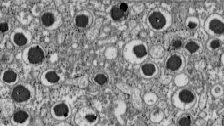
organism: C57BL Mouse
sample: Pancreatic islet